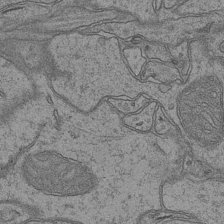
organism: Mouse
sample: CA1 Hippocampus